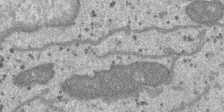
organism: Human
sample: Lung epithelial cells infected with SARS-CoV-2